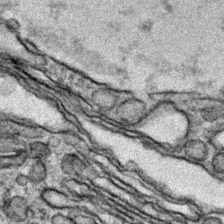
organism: Zebrafish